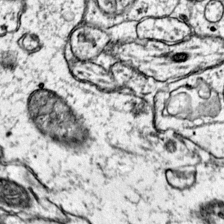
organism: Mouse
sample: Primary visual cortex